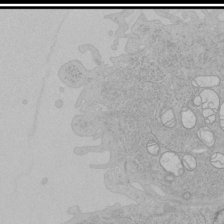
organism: Human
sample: Mitochondria in HCT116 cells